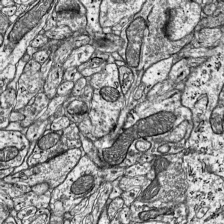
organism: Mouse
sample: Visual Cortex